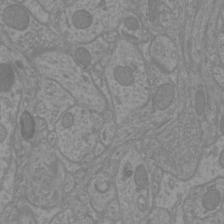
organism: Mouse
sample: Cortical neurons